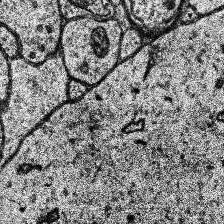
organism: Human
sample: Temporal Lobe